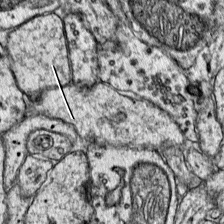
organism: Mouse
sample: Primary visual cortex